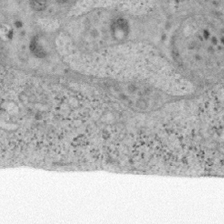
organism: Mouse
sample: OT-I killer T cells with ID8 ovarian cancer cells